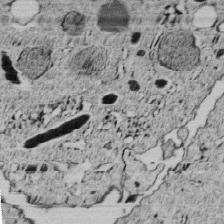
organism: C. elegans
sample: C. elegans embryo early stage